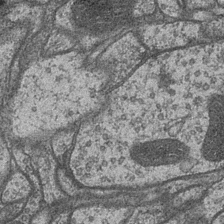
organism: Drosophila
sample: Optic medulla